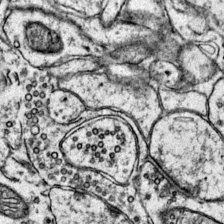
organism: Mouse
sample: Primary visual cortex